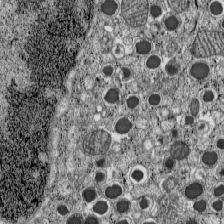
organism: C57BL Mouse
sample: Pancreatic islet